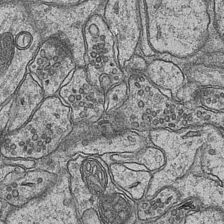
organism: Mouse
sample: CA1 Hippocampus